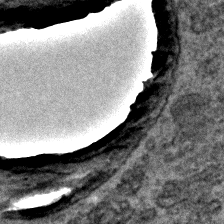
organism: C. elegans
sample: C. elegans embryo